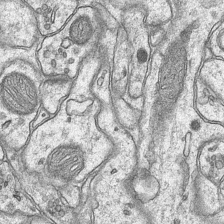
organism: Mouse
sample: CA1 Hippocampus